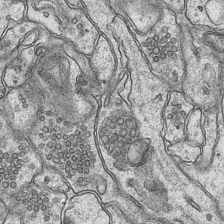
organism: Mouse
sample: CA1 Hippocampus